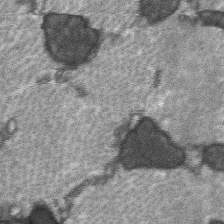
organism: C57BL Mouse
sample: Soleus